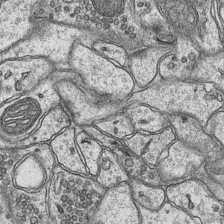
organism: Mouse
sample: CA1 Hippocampus